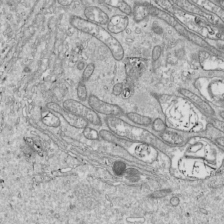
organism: Drosophila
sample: Cell division; meiosis; drosophila spermatocytes